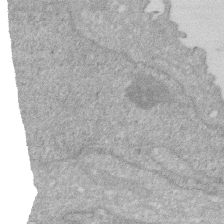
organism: Human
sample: HIV infected U937 cells